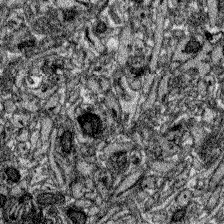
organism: Zebrafish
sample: Larval olfactory bulb